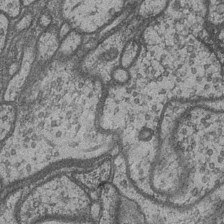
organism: Drosophila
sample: Optic medulla